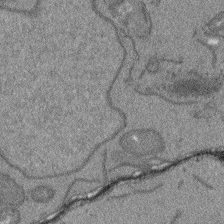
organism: Arabidopsis thaliana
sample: Root tip